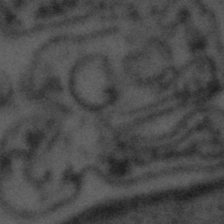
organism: Tuwongella immobilis